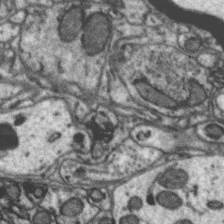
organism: Zebra finch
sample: Brain